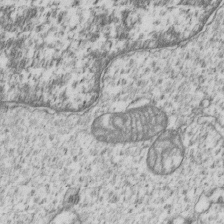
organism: Human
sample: MDA-MB-231 cells